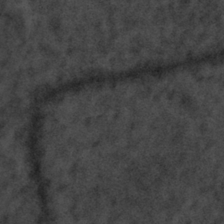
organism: Tuwongella immobilis